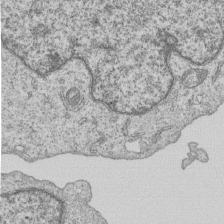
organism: Human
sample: MDA-MB-231 cells